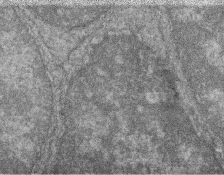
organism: Zebrafish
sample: Cilia; retinal pigment epithelium